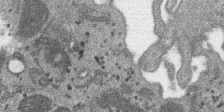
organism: Human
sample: Lung epithelial cells infected with SARS-CoV-2